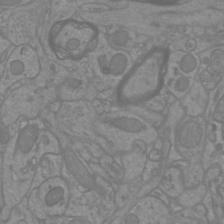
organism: Mouse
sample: Cortical neurons